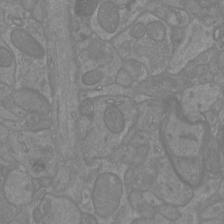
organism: Mouse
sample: Cortical neurons